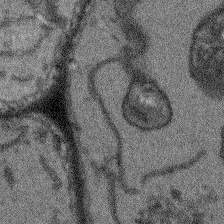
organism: Arabidopsis thaliana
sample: Root tip